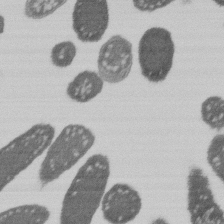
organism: E. coli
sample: Bacterial nucleoid